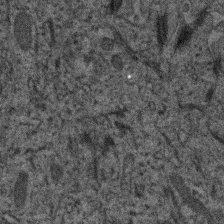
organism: Human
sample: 1205lu cells